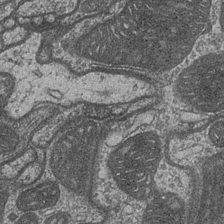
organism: Drosophila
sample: Optic medulla